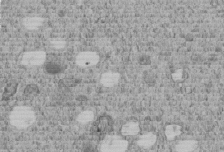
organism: C. elegans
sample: C. elegans embryo early stage